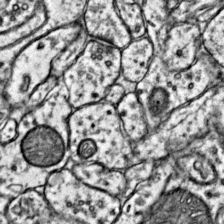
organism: Mouse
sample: Primary visual cortex